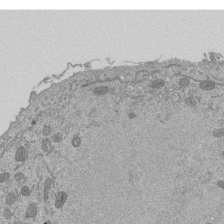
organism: Mouse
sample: ED-1 cell nuclei; centrioles